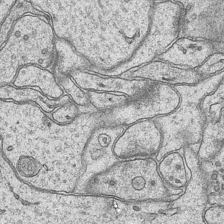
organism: Mouse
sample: CA1 Hippocampus